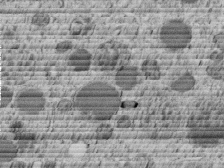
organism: C. elegans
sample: C. elegans embryo early stage